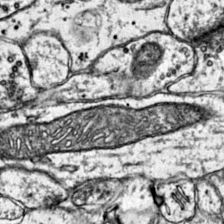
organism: Mouse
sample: Primary visual cortex